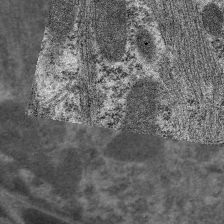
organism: C. elegans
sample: Pharynx